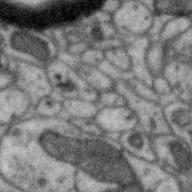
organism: Zebra finch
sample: Brain